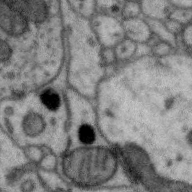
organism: Zebra finch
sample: Brain